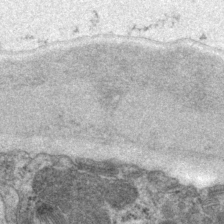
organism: P. pacificus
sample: Pharynx